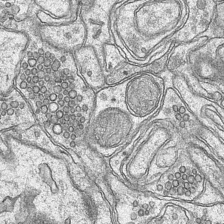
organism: Mouse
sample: CA1 Hippocampus